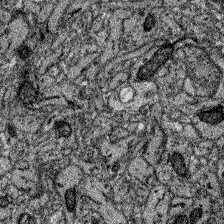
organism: Zebrafish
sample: Larval olfactory bulb